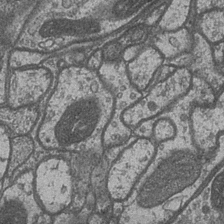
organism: Drosophila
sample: Optic medulla